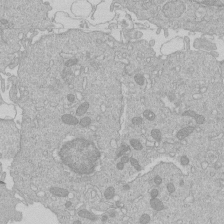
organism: Human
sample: Macrophage cells